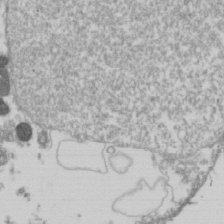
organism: Drosophila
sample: Cell division; meiosis; drosophila spermatocytes